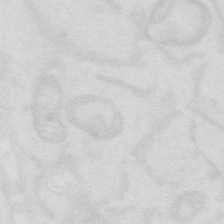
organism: Human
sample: HeLa cells